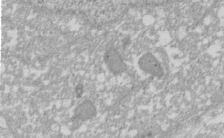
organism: Xenopus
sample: Cilia; centrioles in frog embryo cells